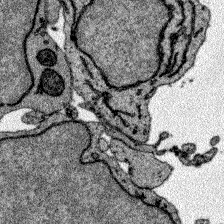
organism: Zebrafish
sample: Larval olfactory bulb